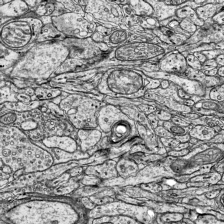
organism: Mouse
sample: Visual Cortex